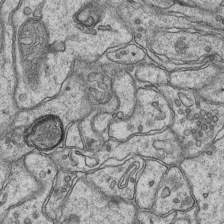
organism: Mouse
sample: CA1 Hippocampus